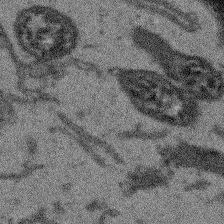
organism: Arabidopsis thaliana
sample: Root tip